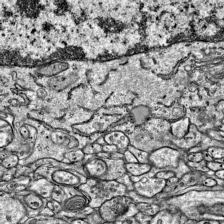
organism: Mouse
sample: Visual Cortex